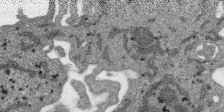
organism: Human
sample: Lung epithelial cells infected with SARS-CoV-2